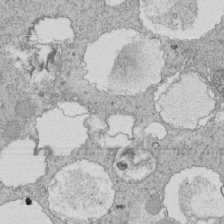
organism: Tetrahymena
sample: Cilia in tetrahymena